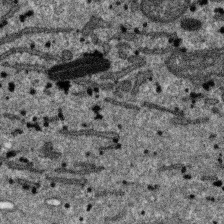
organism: Human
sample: Lung epithelial cells infected with SARS-CoV-2